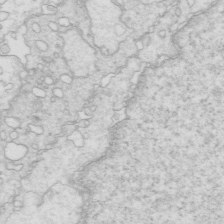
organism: Mouse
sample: Multiciliated cells